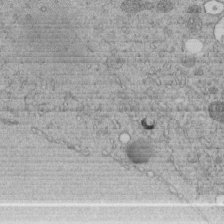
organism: C. elegans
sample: C. elegans embryo early stage